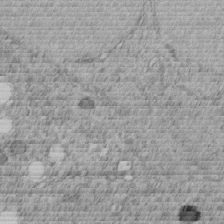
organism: C. elegans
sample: C. elegans embryo early stage